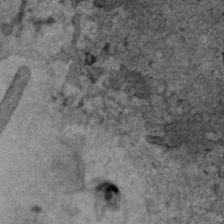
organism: Human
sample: Mitochondria in HCT116 cells